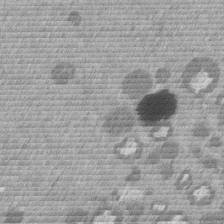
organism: Mouse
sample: Dividing mouse embryo 1 cell stage